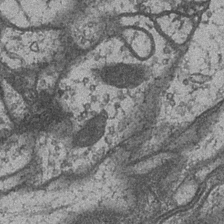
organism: Drosophila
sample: Optic medulla